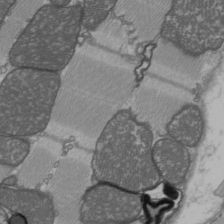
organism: C57BL Mouse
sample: Heart